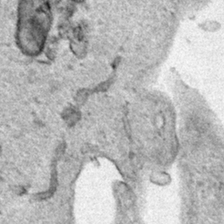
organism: Human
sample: Mitochondria in HCT116 cells